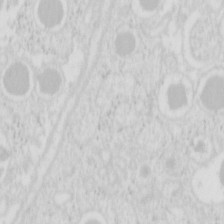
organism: Mouse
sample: Pancreas